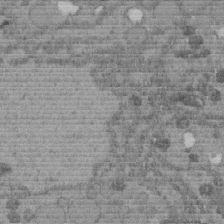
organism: C. elegans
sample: C. elegans embryo early stage